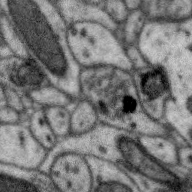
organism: Zebra finch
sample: Brain